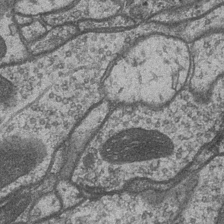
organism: Drosophila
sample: Optic medulla